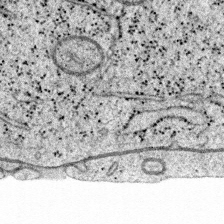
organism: Human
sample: HeLa cells